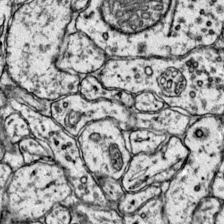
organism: Mouse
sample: Primary visual cortex